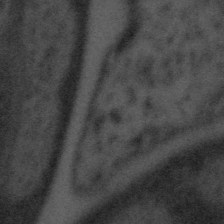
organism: Tuwongella immobilis